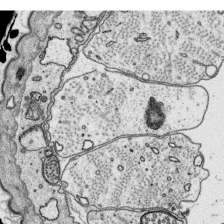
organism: Platynereis dumerilii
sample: Parapodia